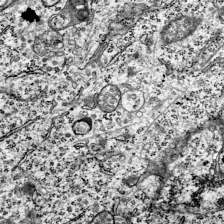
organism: Mouse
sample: Visual Cortex